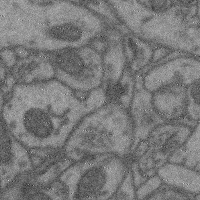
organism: Mouse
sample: Cerebral cortex